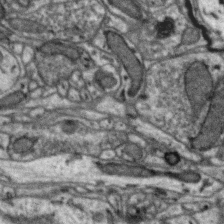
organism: Zebra finch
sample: Brain